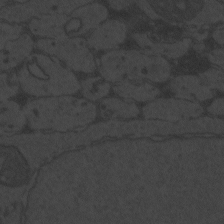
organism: Zebrafish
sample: Macrophage infected with Toxoplasma gondii